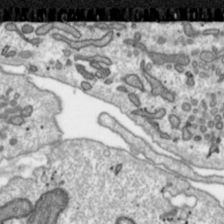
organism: Toxoplasma gondii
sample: Parasites in a vacuole inside a host cell